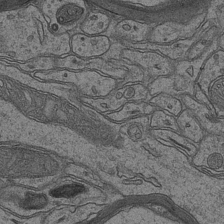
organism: Mouse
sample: CA1 Hippocampus